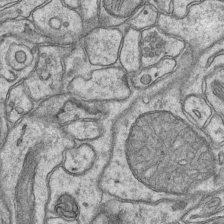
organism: Mouse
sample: CA1 Hippocampus